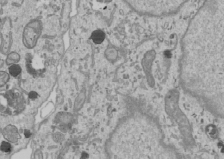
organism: Human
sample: Mitochondria in U2OS cells